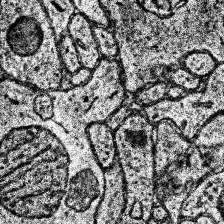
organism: Human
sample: Temporal Lobe